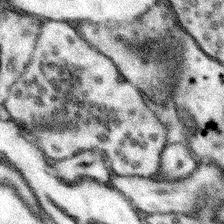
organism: Mouse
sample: Somatosensory cortex neuropil